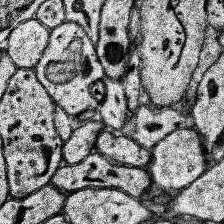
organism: Human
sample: Temporal Lobe